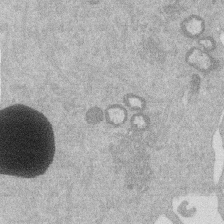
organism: Mouse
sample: Dividing mouse embryo 1 cell stage